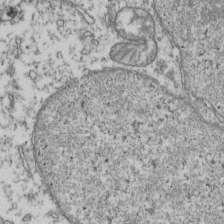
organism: Human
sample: Activated Jurkat CD4+ T cells